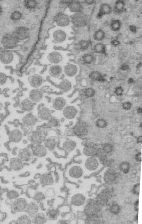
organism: Mouse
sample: Multiciliated cells